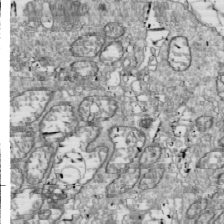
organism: Drosophila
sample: Cell division; meiosis; drosophila spermatocytes